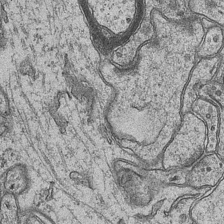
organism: Mouse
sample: CA1 Hippocampus